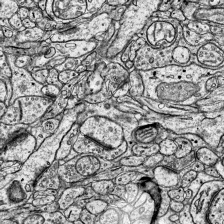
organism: Mouse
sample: Visual Cortex